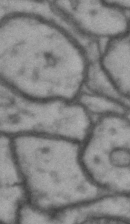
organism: Drosophila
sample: Brain